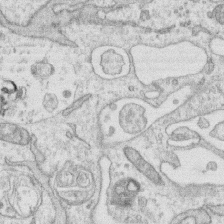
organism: Human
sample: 1205lu cells